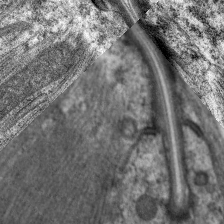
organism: C. elegans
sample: Pharynx